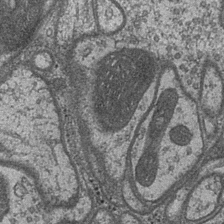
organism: Drosophila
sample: Optic medulla